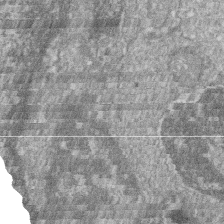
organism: Zebrafish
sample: Cilia; retinal pigment epithelium